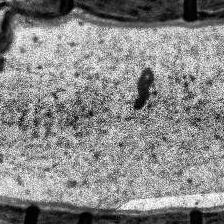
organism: Human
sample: Temporal Lobe